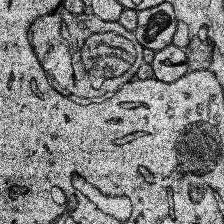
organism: Human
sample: Temporal Lobe